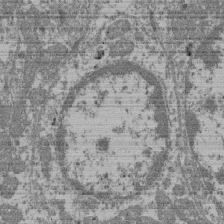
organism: Mouse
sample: Glomerulus